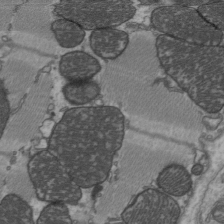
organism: C57BL Mouse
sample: Heart